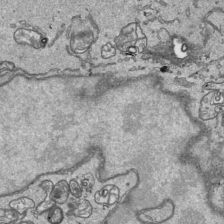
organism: Human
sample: Mitochondria in HCT116 cells